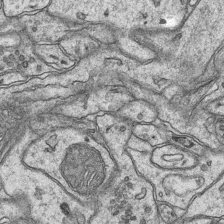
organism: Mouse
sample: CA1 Hippocampus